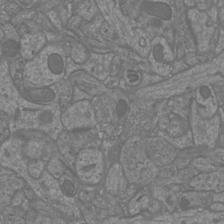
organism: Mouse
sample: Cortical neurons